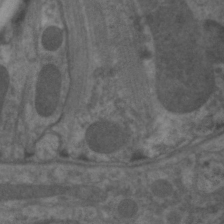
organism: C. elegans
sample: Pharynx